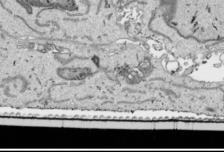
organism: Human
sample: Mitochondria in HCT116 cells